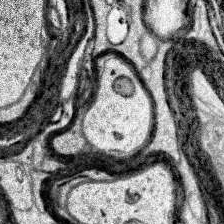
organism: Human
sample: Temporal Lobe